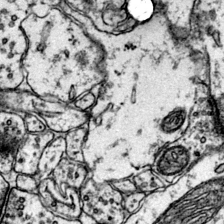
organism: Mouse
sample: Primary visual cortex